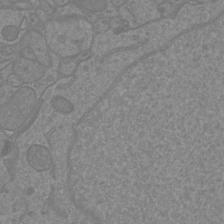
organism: Mouse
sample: Cortical neurons